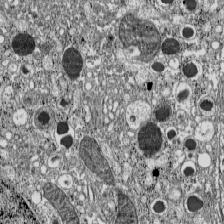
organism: C57BL Mouse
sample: Pancreatic islet